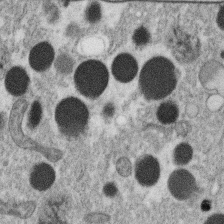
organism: C. elegans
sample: C. elegans oocyte; sperm cells